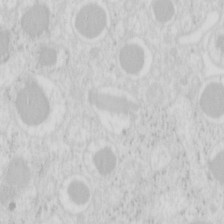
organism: Mouse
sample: Pancreas